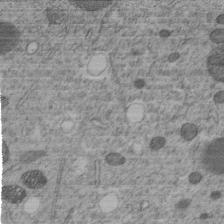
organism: C. elegans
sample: C. elegans embryo early stage